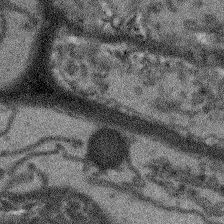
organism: Arabidopsis thaliana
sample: Root tip